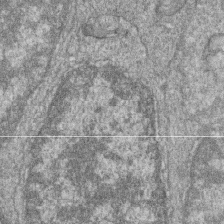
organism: Zebrafish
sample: Cilia; retinal pigment epithelium